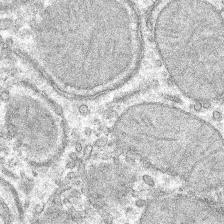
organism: Mouse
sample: Mouse hepatocytes